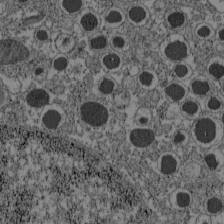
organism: C57BL Mouse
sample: Pancreatic islet